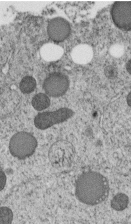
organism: C. elegans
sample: C. elegans embryo early stage